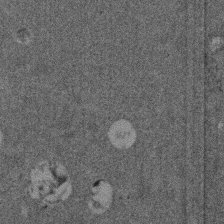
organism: Mouse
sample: Dividing mouse embryo 1 cell stage